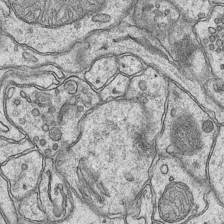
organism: Mouse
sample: CA1 Hippocampus